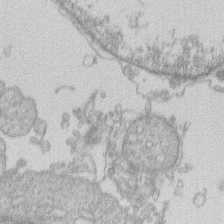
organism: Human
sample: Macrophage cells